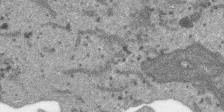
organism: Human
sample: Lung epithelial cells infected with SARS-CoV-2